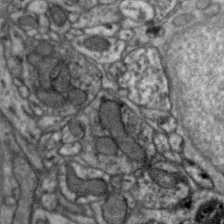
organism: Zebra finch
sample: Brain